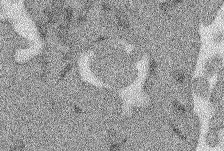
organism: Human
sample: HeLa cells